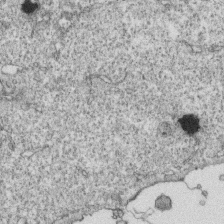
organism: Human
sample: HeLa cell HIV synapse